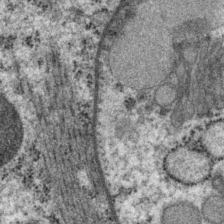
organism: P. pacificus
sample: Pharynx